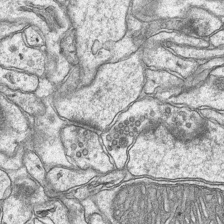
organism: Mouse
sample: CA1 Hippocampus